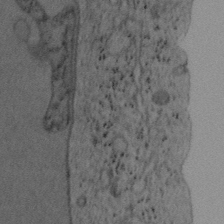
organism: Human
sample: HeLa cells